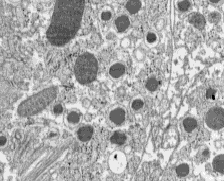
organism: C57BL Mouse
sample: Pancreatic islet